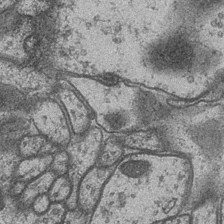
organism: Drosophila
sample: Optic medulla